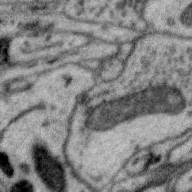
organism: Zebra finch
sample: Brain